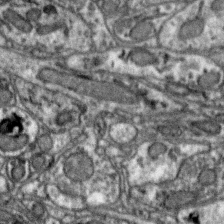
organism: Zebra finch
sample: Brain